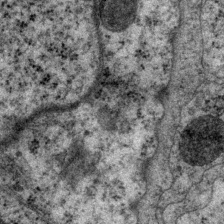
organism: P. pacificus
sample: Pharynx